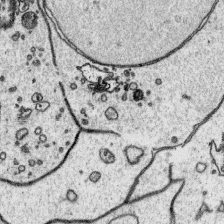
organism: Platynereis dumerilii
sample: Parapodia